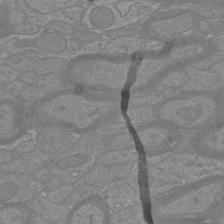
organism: Mouse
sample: Cortical neurons